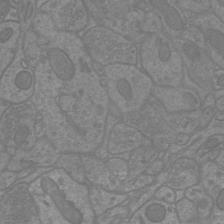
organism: Mouse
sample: Cortical neurons